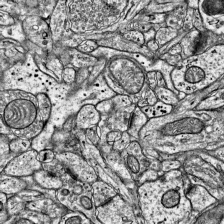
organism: Mouse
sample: Visual Cortex